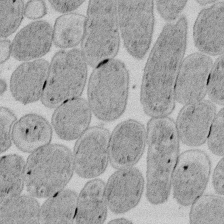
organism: E. coli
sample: Bacterial nucleoid